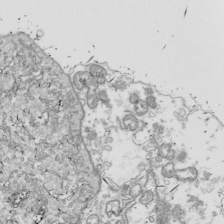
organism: Drosophila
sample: Cell division; meiosis; drosophila spermatocytes